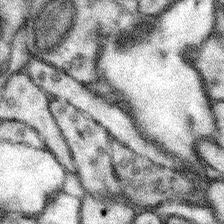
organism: Mouse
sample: Somatosensory cortex neuropil